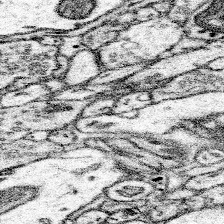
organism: Mouse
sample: Somatosensory cortex neuropil